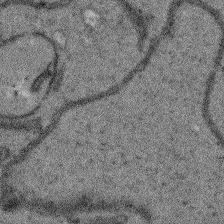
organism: Arabidopsis thaliana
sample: Root tip